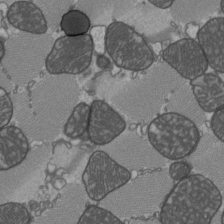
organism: C57BL Mouse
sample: Heart